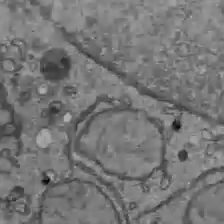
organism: C57BL Mouse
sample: Liver